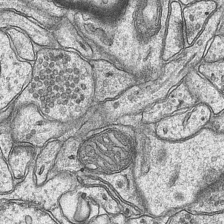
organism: Mouse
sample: CA1 Hippocampus